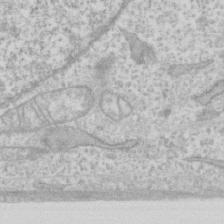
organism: Human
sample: Fibroblast cells